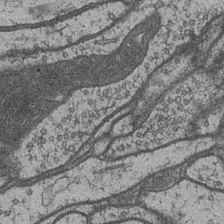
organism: Drosophila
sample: Optic medulla